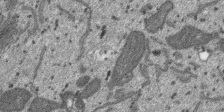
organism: Human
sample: Lung epithelial cells infected with SARS-CoV-2